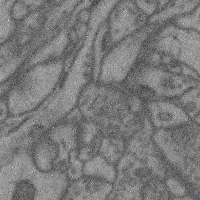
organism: Mouse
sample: Cerebral cortex